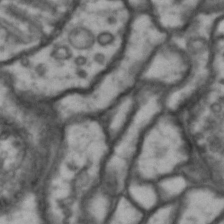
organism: Drosophila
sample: Brain